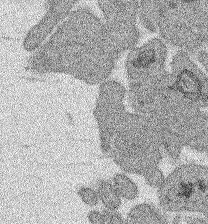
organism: Human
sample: HeLa cells